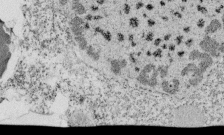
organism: Tetrahymena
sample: Cilia in tetrahymena